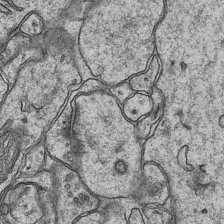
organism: Mouse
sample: CA1 Hippocampus